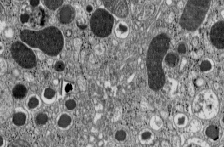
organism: C57BL Mouse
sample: Pancreatic islet